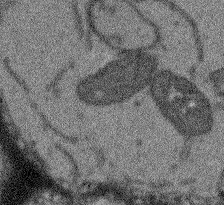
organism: Arabidopsis thaliana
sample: Root tip